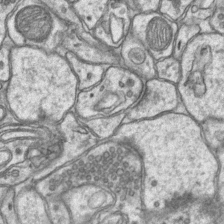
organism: Mouse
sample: CA1 Hippocampus